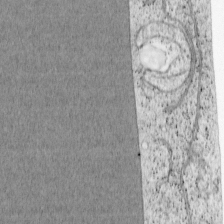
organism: African green monkey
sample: COS-7 cells